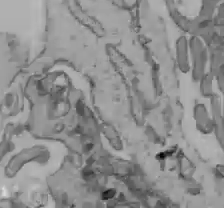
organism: C57BL Mouse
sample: Liver